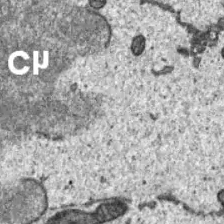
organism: Human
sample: HeLa cells